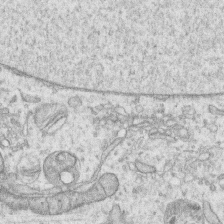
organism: Human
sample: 1205lu cells